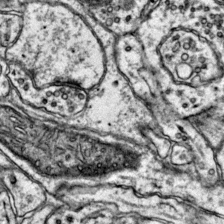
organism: Mouse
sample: Primary visual cortex